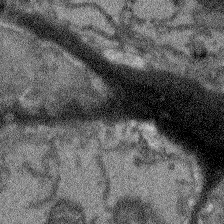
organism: Arabidopsis thaliana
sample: Root tip